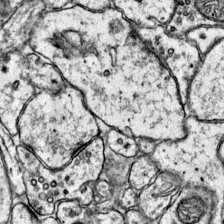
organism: Mouse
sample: Primary visual cortex